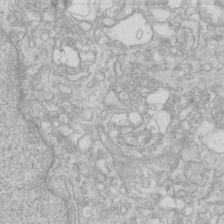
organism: Human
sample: Fibroblast cells